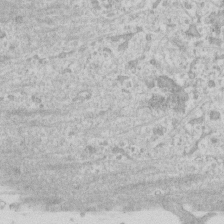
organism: Human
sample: Fibroblast cells